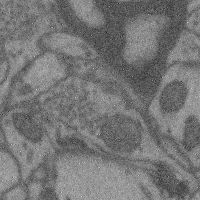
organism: Mouse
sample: Cerebral cortex